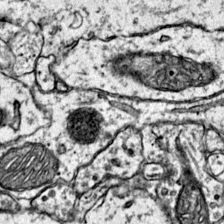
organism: Mouse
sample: Primary visual cortex